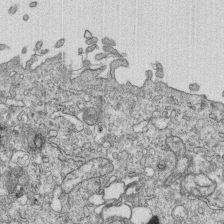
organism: Human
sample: HeLa cell HIV synapse